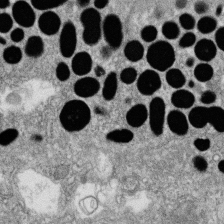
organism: Zebrafish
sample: Cilia; retinal pigment epithelium